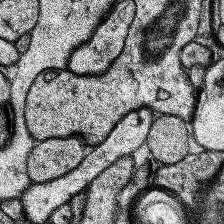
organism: Human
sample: Temporal Lobe